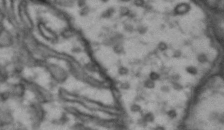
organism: Drosophila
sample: Brain